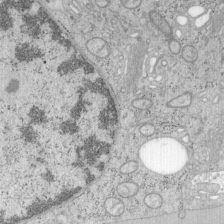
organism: Mouse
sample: OT-I killer T cells with ID8 ovarian cancer cells